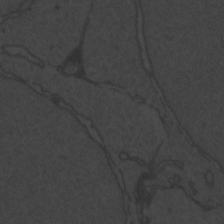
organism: Zebrafish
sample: Macrophage infected with Toxoplasma gondii